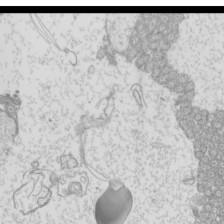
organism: Mouse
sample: Cilia; mouse epididymis